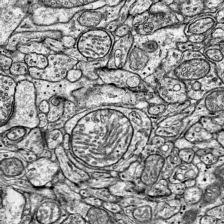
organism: Mouse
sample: Visual Cortex